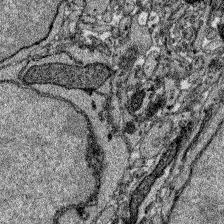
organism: Zebrafish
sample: Larval olfactory bulb